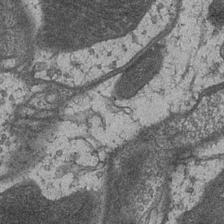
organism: Drosophila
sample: Optic medulla